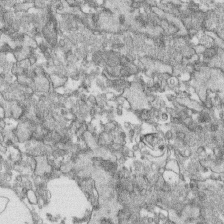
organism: Human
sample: CRL-1474